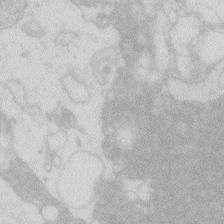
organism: Zebrafish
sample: Macrophage